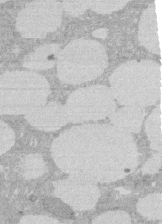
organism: Rat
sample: Salivary granule